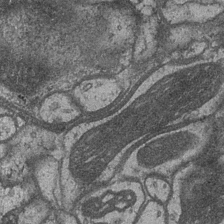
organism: Drosophila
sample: Optic medulla